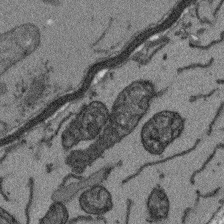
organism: Arabidopsis thaliana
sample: Root tip